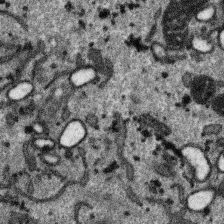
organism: Human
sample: Lung epithelial cells infected with SARS-CoV-2